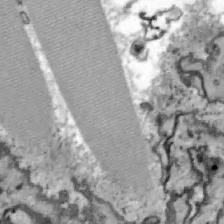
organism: Zebrafish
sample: Actinotrichia fibers